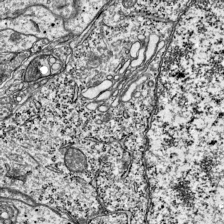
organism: Mouse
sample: Visual Cortex